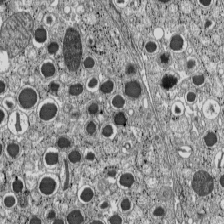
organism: C57BL Mouse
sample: Pancreatic islet